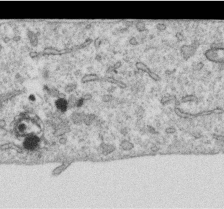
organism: Human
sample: Centriole in RPE cells